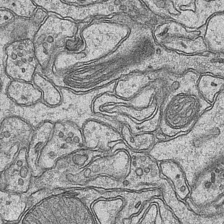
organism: Mouse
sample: CA1 Hippocampus